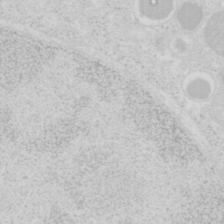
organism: Mouse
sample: Pancreas